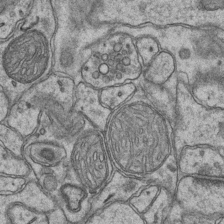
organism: Mouse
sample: CA1 Hippocampus